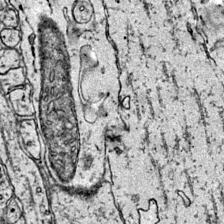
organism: Mouse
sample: Primary visual cortex